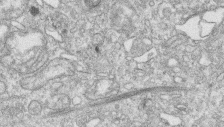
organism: Human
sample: HeLa cell HIV synapse